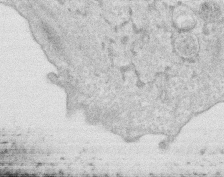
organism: Human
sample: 1205lu cells